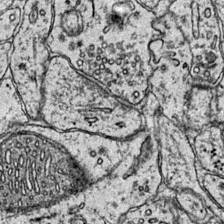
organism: Mouse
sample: Primary visual cortex